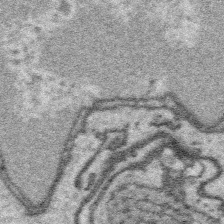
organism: Platynereis dumerilii